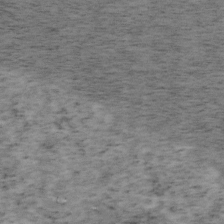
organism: Mouse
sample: OT-I killer T cells with ID8 ovarian cancer cells